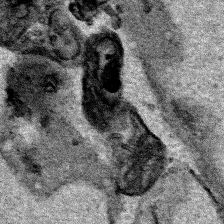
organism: Human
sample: Mitochondria in HCT116 cells